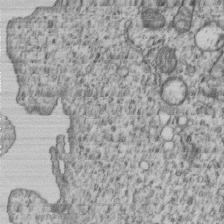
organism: Human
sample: MDA-MB-231 cells